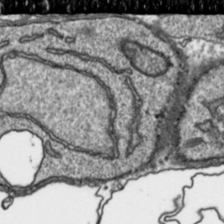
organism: Toxoplasma gondii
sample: Parasites in a vacuole inside a host cell